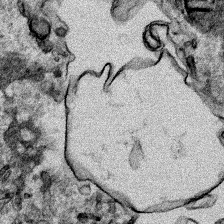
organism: Human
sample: Mitochondria in HCT116 cells